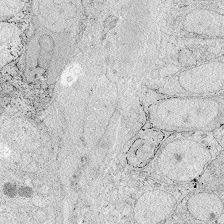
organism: Zebrafish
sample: Whole-Brain